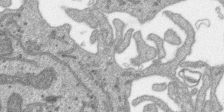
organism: Human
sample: Lung epithelial cells infected with SARS-CoV-2